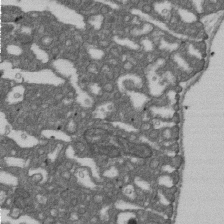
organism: Drosophila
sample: Nephrocyte